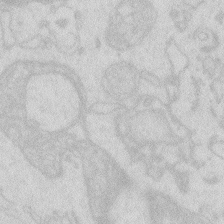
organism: Zebrafish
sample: Macrophage